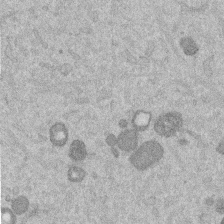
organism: Mouse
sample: Dividing mouse embryo 1 cell stage